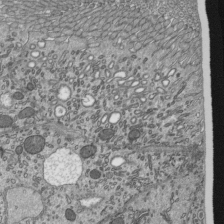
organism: Mouse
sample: Mouse epididymis efferent ductule cilia